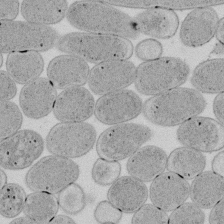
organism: E. coli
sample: Bacterial nucleoid